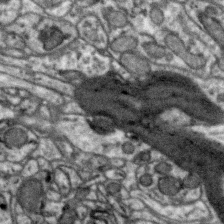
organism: Zebra finch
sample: Brain